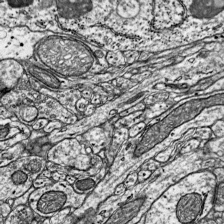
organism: Mouse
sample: Visual Cortex